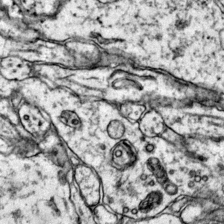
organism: Mouse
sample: Primary visual cortex